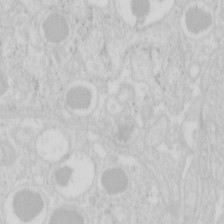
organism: Mouse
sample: Pancreas